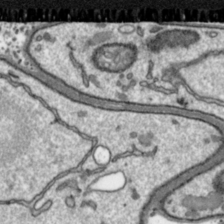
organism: Toxoplasma gondii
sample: Parasites in a vacuole inside a host cell